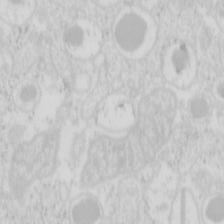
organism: Mouse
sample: Pancreas